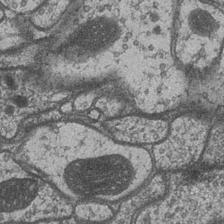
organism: Drosophila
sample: Optic medulla